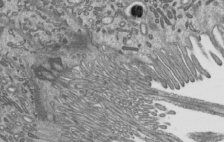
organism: Mouse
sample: Mouse epididymis efferent ductule cilia